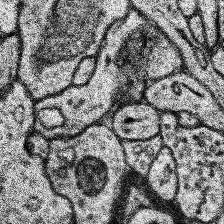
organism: Human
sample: Temporal Lobe